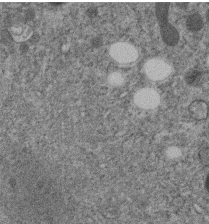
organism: C. elegans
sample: C. elegans embryo early stage